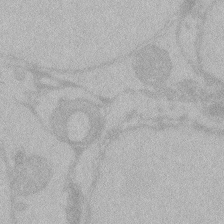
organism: Zebrafish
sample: Macrophage infected with Toxoplasma gondii